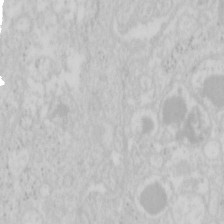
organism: Mouse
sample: Pancreas